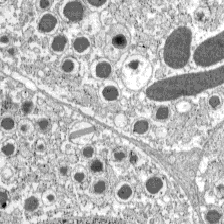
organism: C57BL Mouse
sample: Pancreatic islet